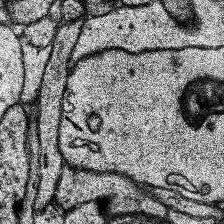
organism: Human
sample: Temporal Lobe